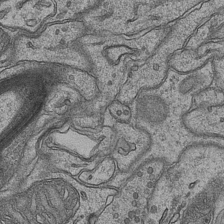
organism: Mouse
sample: CA1 Hippocampus